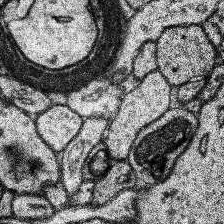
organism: Human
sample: Temporal Lobe